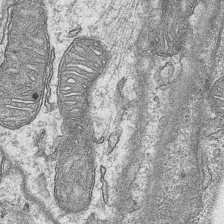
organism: Mouse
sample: CA1 Hippocampus